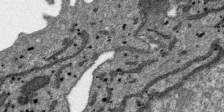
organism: Human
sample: Lung epithelial cells, uninfected (mock) control